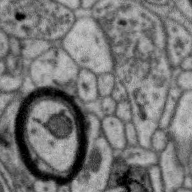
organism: Zebra finch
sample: Brain